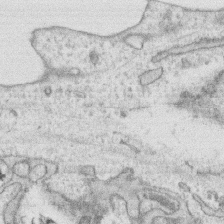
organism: Human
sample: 1205lu cells